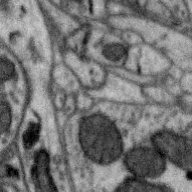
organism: Zebra finch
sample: Brain